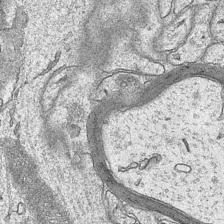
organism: Mouse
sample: CA1 Hippocampus